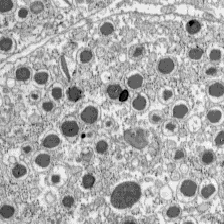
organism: C57BL Mouse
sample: Pancreatic islet